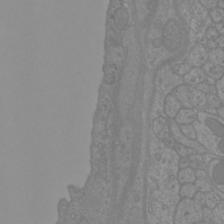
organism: Mouse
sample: Cortical neurons